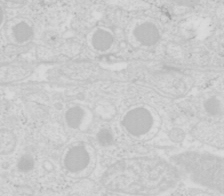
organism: Mouse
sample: Pancreas